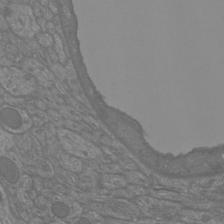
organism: Mouse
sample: Cortical neurons